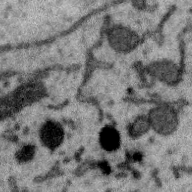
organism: Zebra finch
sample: Brain